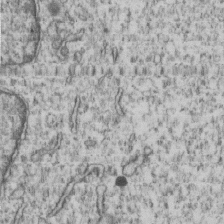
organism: Human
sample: MDA-MB-231 cells